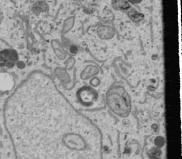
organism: Human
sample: Mitochondria in U2OS cells